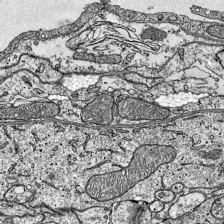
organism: Mouse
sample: Visual Cortex